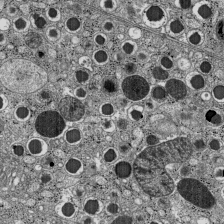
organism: C57BL Mouse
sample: Pancreatic islet